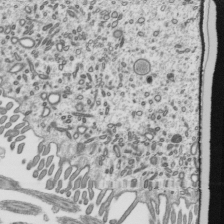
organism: Mouse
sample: Mouse epididymis efferent ductule cilia